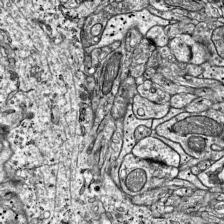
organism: Mouse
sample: Visual Cortex